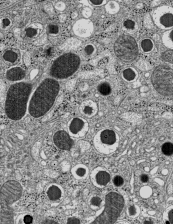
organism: C57BL Mouse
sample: Pancreatic islet